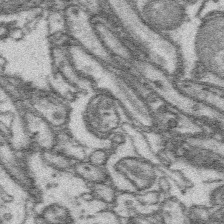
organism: Platynereis dumerilii